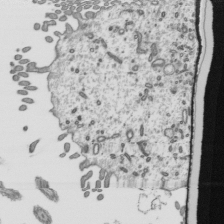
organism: Mouse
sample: Mouse epididymis efferent ductule cilia